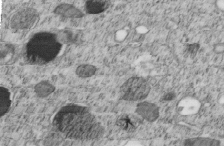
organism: C. elegans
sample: C. elegans embryo early stage